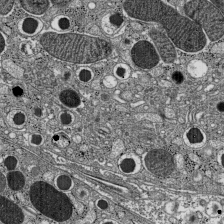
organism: C57BL Mouse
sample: Pancreatic islet